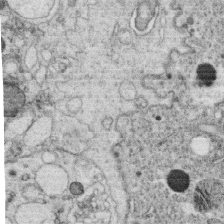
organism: C. elegans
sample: C. elegans oocyte; sperm cells